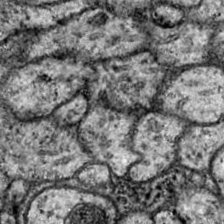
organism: Drosophila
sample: Ventral Nerve Cord